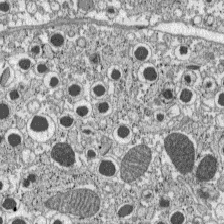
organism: C57BL Mouse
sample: Pancreatic islet